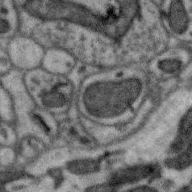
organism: Zebra finch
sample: Brain